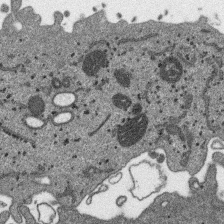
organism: Human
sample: Lung epithelial cells infected with SARS-CoV-2